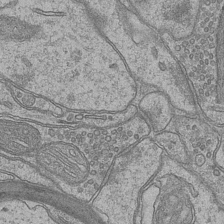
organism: Mouse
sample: CA1 Hippocampus